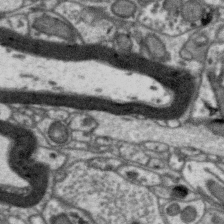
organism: Zebra finch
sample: Brain